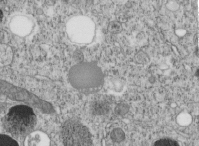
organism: C. elegans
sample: C. elegans embryo early stage